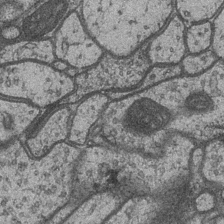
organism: Drosophila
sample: Optic medulla